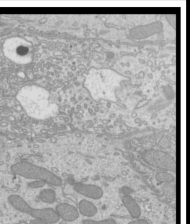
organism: Mouse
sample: Cilia; mouse epididymis